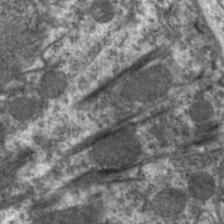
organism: C. elegans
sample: Pharynx